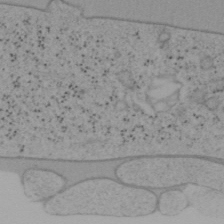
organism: Human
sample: HeLa cells